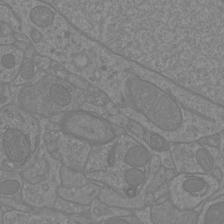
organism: Mouse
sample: Cortical neurons